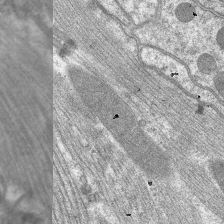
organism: C. elegans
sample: Pharynx